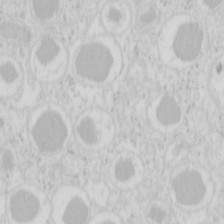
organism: Mouse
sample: Pancreas